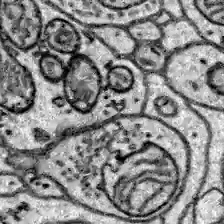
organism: Zebrafish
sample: Brain